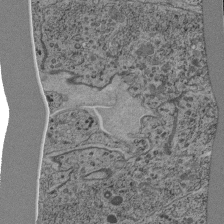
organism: C. elegans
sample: C. elegans pharynx